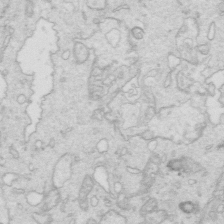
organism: Mouse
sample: Multiciliated cells